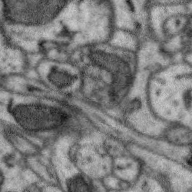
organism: Zebra finch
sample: Brain